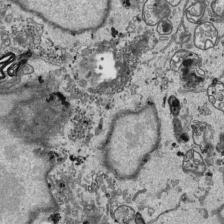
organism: Human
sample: Mitochondria in HCT116 cells